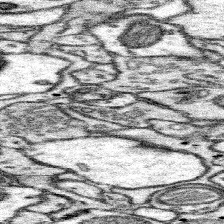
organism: Mouse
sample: Somatosensory cortex neuropil